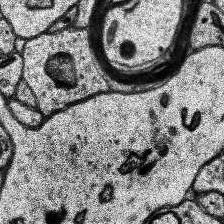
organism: Human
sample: Temporal Lobe